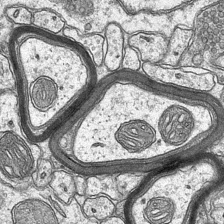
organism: Mouse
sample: CA1 Hippocampus